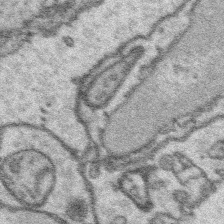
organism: Platynereis dumerilii